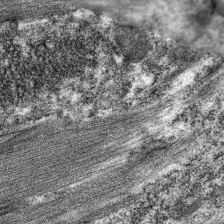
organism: C. elegans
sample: Pharynx